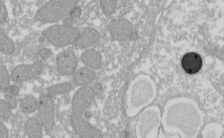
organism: Xenopus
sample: Cilia; centrioles in frog embryo cells